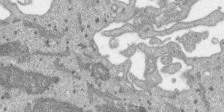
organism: Human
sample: Lung epithelial cells infected with SARS-CoV-2